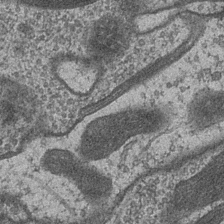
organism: Drosophila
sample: Optic medulla